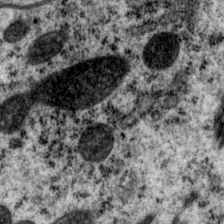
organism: P. pacificus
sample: Pharynx